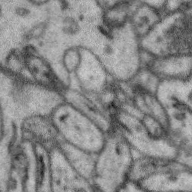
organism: Zebra finch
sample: Brain